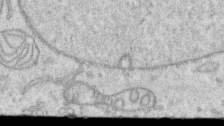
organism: Human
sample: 1205lu cells